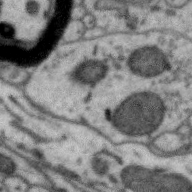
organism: Zebra finch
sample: Brain